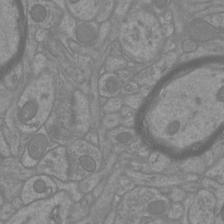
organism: Mouse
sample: Cortical neurons